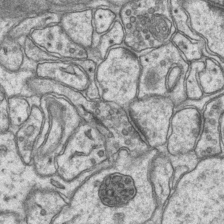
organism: Mouse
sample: CA1 Hippocampus